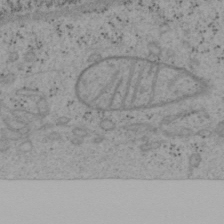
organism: Human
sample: HeLa cells